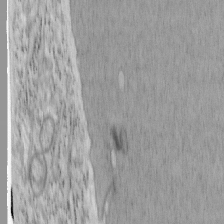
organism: Human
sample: HeLa cells